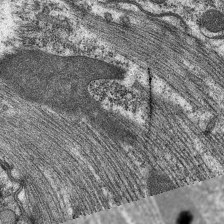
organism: C. elegans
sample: Pharynx